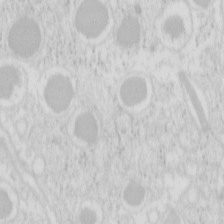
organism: Mouse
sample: Pancreas